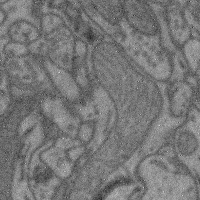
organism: Mouse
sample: Cerebral cortex